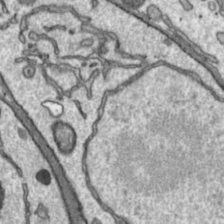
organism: Toxoplasma gondii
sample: Parasites in a vacuole inside a host cell